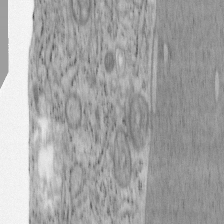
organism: Human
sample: HeLa cells